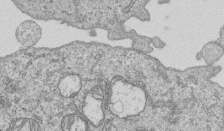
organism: Human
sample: MDA-MB-231 cells